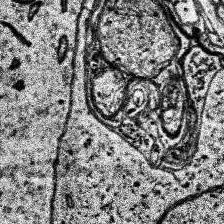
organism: Human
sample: Temporal Lobe